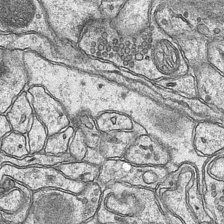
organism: Mouse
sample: CA1 Hippocampus